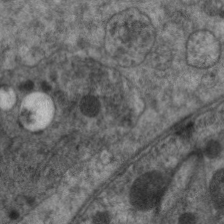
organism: C. elegans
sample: Pharynx